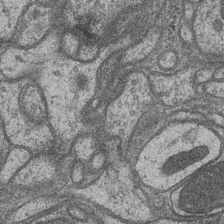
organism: Drosophila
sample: Optic medulla